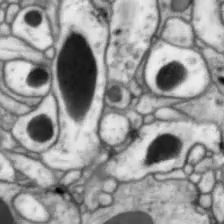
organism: Drosophila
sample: Optic lobe